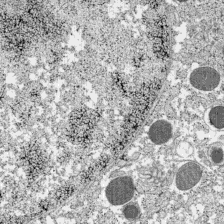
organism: C57BL Mouse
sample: Pancreatic islet